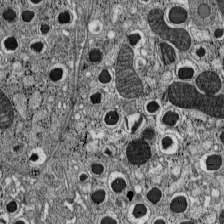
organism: C57BL Mouse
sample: Pancreatic islet